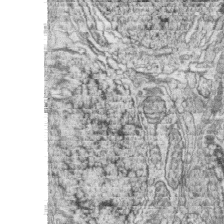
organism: Zebrafish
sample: synaptic ribbons in rod cells and cone cells